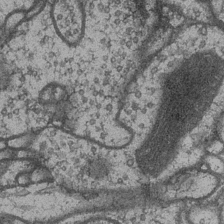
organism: Drosophila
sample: Optic medulla